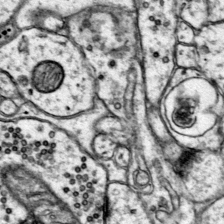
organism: Mouse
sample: Primary visual cortex